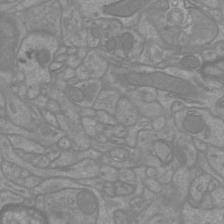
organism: Mouse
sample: Cortical neurons